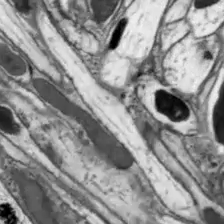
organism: Drosophila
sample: Optic lobe